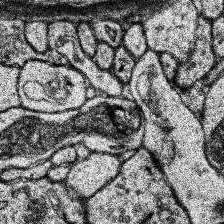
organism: Human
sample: Temporal Lobe